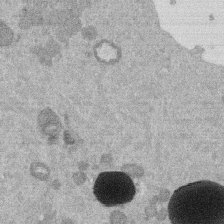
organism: Mouse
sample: Dividing mouse embryo 1 cell stage